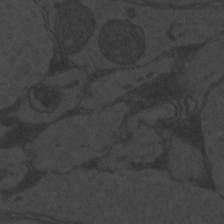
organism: Zebrafish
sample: Macrophage infected with Toxoplasma gondii